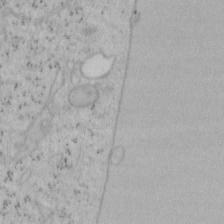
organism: Human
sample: HeLa cells